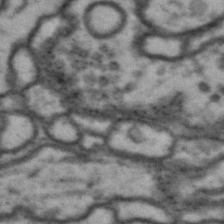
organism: Drosophila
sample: Brain